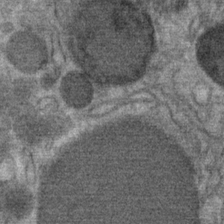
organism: Mouse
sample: Mouse Salivary gland